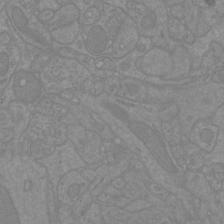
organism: Mouse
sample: Cortical neurons